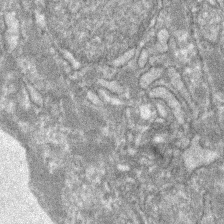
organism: Zebrafish